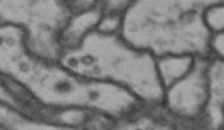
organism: Drosophila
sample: Brain